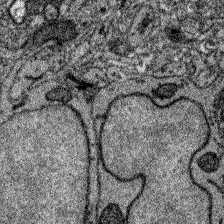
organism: Zebrafish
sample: Larval olfactory bulb